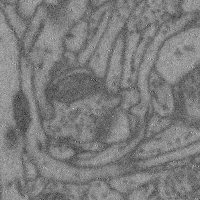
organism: Mouse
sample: Cerebral cortex